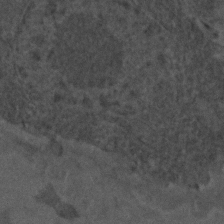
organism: C. elegans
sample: C. elegans embryo